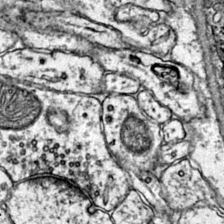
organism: Mouse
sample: Primary visual cortex